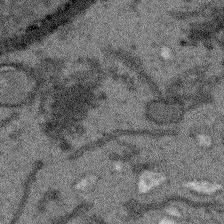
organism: Arabidopsis thaliana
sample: Root tip